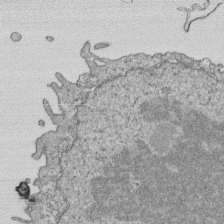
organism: Human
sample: HeLa cell HIV synapse